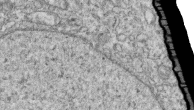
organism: Human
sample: HeLa cell HIV synapse